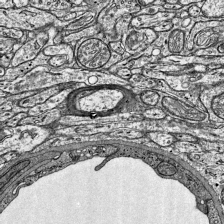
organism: Mouse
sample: Visual Cortex